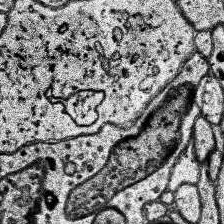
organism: Human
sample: Temporal Lobe